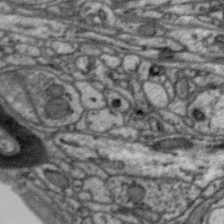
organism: Zebra finch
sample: Brain